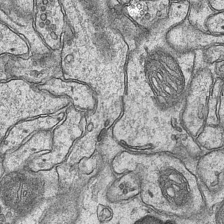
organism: Mouse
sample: CA1 Hippocampus